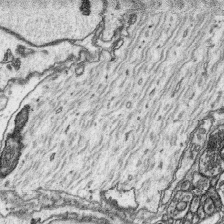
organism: Platynereis dumerilii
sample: Parapodia